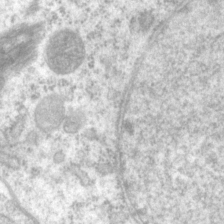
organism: P. pacificus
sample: Pharynx